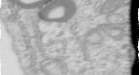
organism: Human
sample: Centriole in RPE cells